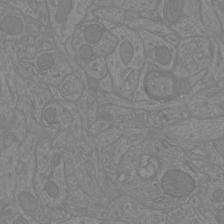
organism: Mouse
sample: Cortical neurons